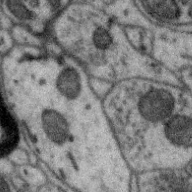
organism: Zebra finch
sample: Brain